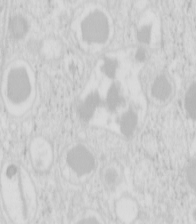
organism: Mouse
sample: Pancreas